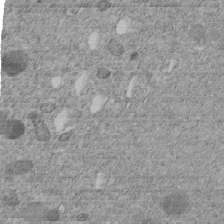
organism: C. elegans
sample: C. elegans embryo early stage